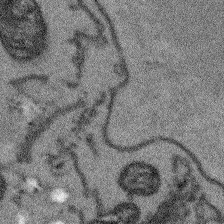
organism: Arabidopsis thaliana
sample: Root tip